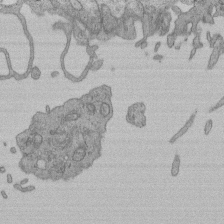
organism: Human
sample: Retinal organoid Rod and Cone cells